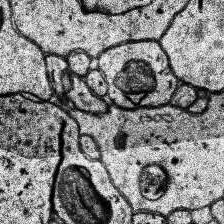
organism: Human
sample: Temporal Lobe